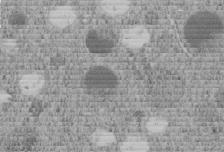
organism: C. elegans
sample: C. elegans embryo early stage